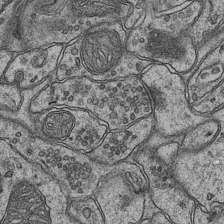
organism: Mouse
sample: CA1 Hippocampus